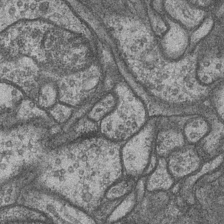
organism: Drosophila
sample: Optic medulla